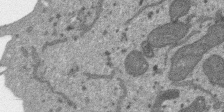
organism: Human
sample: Lung epithelial cells infected with SARS-CoV-2